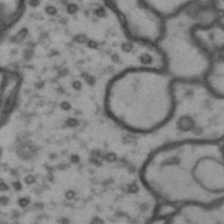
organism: Drosophila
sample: Brain